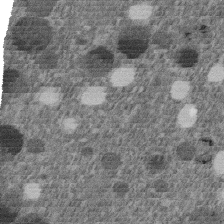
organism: C. elegans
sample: C. elegans embryo early stage